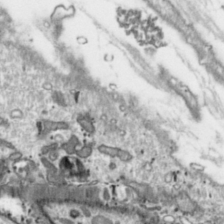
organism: Toxoplasma gondii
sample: Parasites in a vacuole inside a host cell